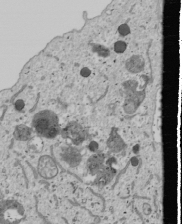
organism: Human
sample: Mitochondria in U2OS cells